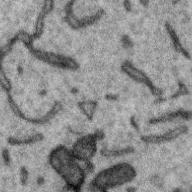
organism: Zebra finch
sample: Brain